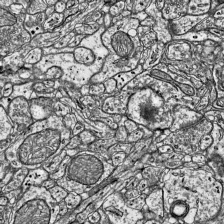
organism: Mouse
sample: Visual Cortex